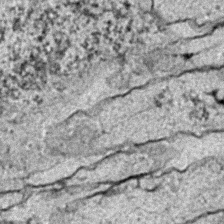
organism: C. elegans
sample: C. elegans embryo